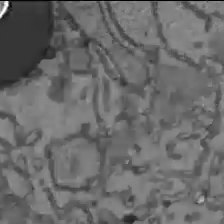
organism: C57BL Mouse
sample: Liver